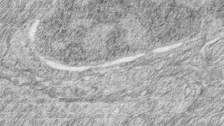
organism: Zebrafish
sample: synaptic ribbons in rod cells and cone cells